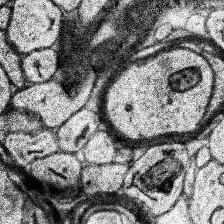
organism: Human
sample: Temporal Lobe